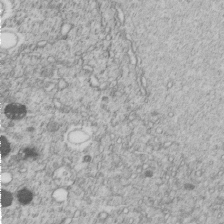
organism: C. elegans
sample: C. elegans embryo early stage